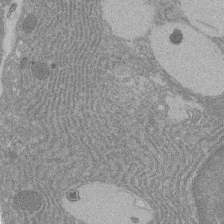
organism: Rat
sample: Salivary granule